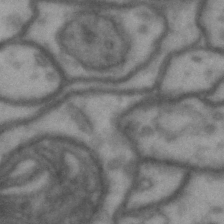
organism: Drosophila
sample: Brain